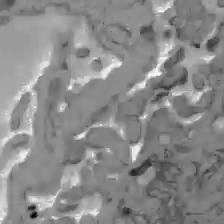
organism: C57BL Mouse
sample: Liver